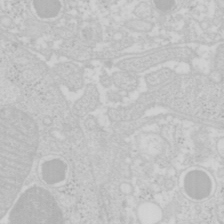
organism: Mouse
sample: Pancreas